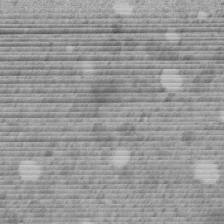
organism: C. elegans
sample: C. elegans embryo early stage